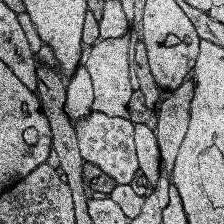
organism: Human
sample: Temporal Lobe